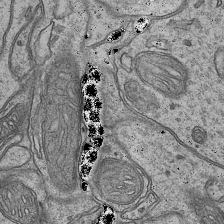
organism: Mouse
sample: CA1 Hippocampus